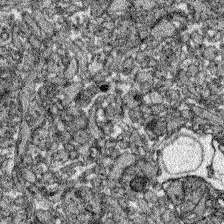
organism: Zebrafish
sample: Larval olfactory bulb